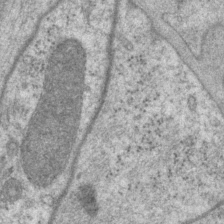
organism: P. pacificus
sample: Pharynx